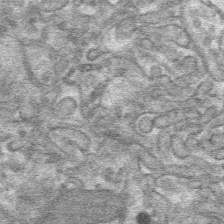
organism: Mouse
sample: Mouse hepatocytes